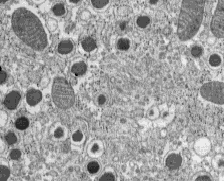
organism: C57BL Mouse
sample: Pancreatic islet